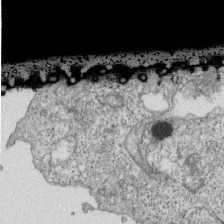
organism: Human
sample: HeLa cell HIV synapse